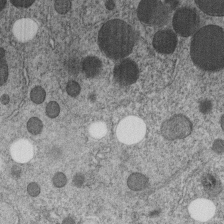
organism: C. elegans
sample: C. elegans embryo early stage